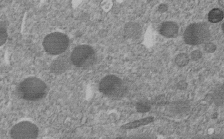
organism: C. elegans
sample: C. elegans embryo early stage